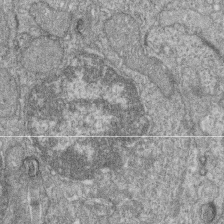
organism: Zebrafish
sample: Cilia; retinal pigment epithelium